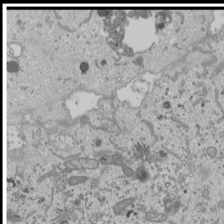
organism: Human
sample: Mitochondria in U2OS cells